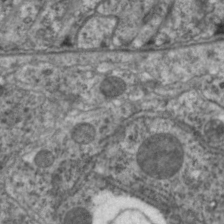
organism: C. elegans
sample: Pharynx